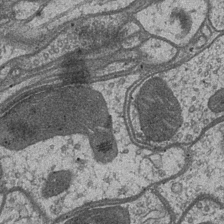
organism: Drosophila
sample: Optic medulla